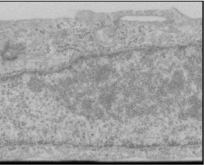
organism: Human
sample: Cilia; basal body in RPE cells